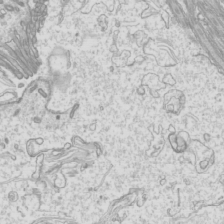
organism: Mouse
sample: Cilia; mouse epididymis